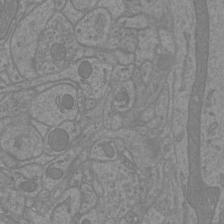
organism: Mouse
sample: Cortical neurons